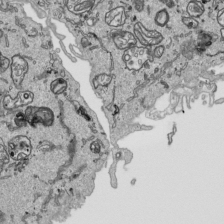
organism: Human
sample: Mitochondria in HCT116 cells